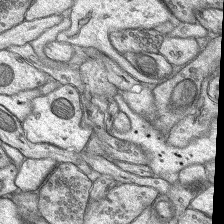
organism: Rat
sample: Hippocampus